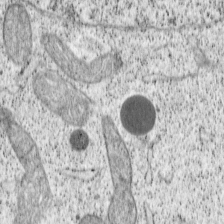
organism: African green monkey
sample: COS-7 cells